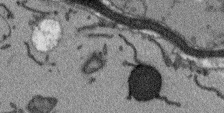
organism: Arabidopsis thaliana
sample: Root tip